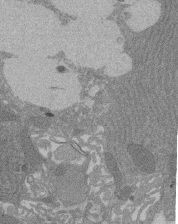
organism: Rat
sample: Salivary granule